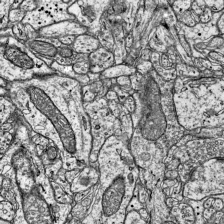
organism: Mouse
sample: Visual Cortex